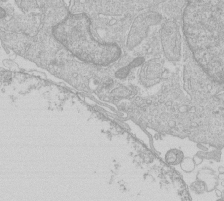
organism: Human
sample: Macrophage cells